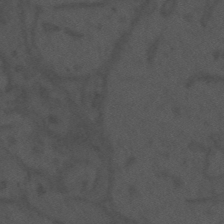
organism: Mouse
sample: Suprachiasmatic nucleus